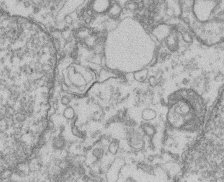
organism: Mouse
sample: T cell stromal cell synapse